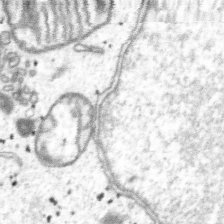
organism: Human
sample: HeLa cells